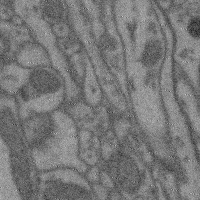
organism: Mouse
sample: Cerebral cortex